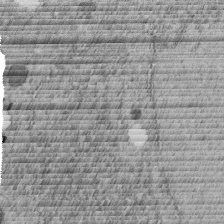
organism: C. elegans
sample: C. elegans embryo early stage